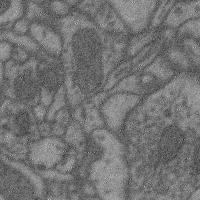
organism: Mouse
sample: Cerebral cortex